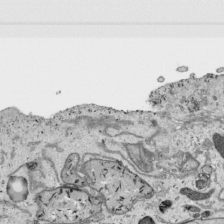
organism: Human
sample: Mitochondria in HCT116 cells